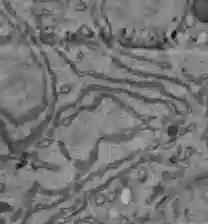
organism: C57BL Mouse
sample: Liver